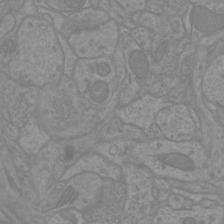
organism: Mouse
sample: Cortical neurons